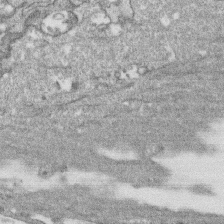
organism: Human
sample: CRL-1474